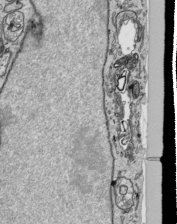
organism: Human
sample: Mitochondria in HCT116 cells